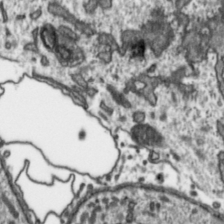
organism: Toxoplasma gondii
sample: Parasites in a vacuole inside a host cell